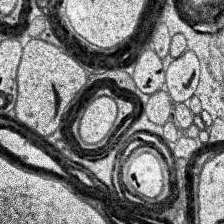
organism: Human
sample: Temporal Lobe